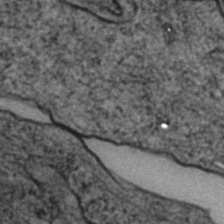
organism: Zebrafish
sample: Zebrafish embryo